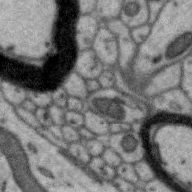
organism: Zebra finch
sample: Brain